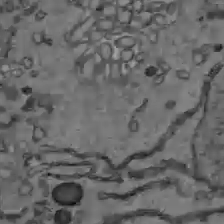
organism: C57BL Mouse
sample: Liver